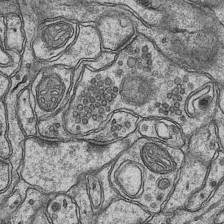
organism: Mouse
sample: CA1 Hippocampus